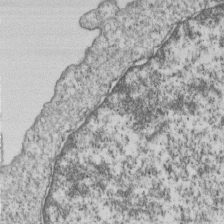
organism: Human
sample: MDA-MB-231 cells